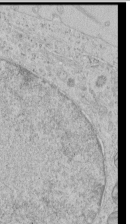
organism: Human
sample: Mitochondria in HCT116 cells